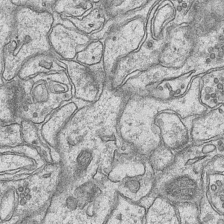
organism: Mouse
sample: CA1 Hippocampus